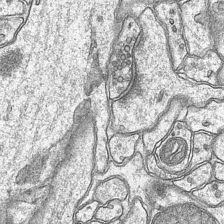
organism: Mouse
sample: CA1 Hippocampus